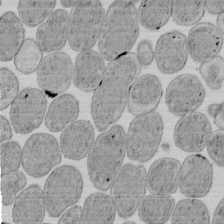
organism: E. coli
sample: Bacterial nucleoid